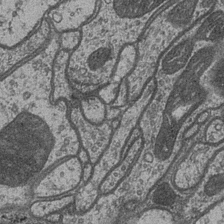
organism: Drosophila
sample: Optic medulla